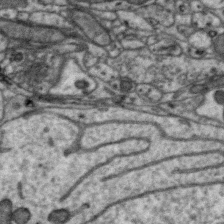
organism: Zebra finch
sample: Brain